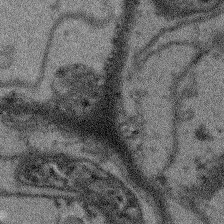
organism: Arabidopsis thaliana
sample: Root tip